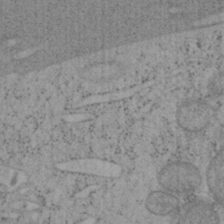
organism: Mouse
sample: OT-I killer T cells with ID8 ovarian cancer cells